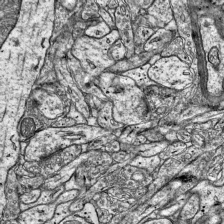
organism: Mouse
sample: Visual Cortex